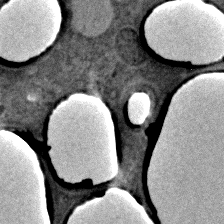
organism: C. elegans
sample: C. elegans embryo